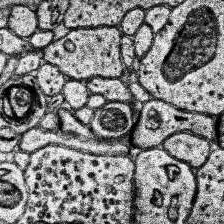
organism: Human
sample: Temporal Lobe